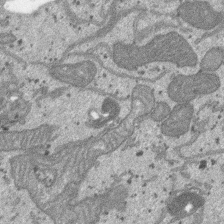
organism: Human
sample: Lung epithelial cells infected with SARS-CoV-2